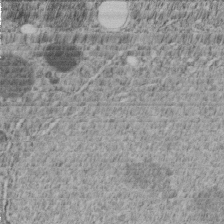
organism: C. elegans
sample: C. elegans embryo early stage